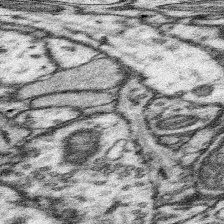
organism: Mouse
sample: Somatosensory cortex neuropil